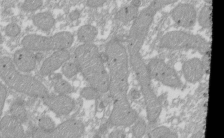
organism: Xenopus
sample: Cilia; centrioles in frog embryo cells